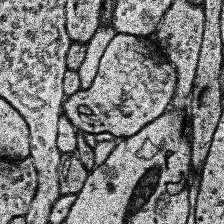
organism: Human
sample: Temporal Lobe